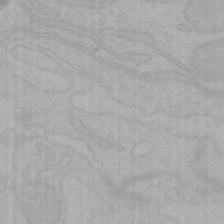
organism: Mouse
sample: Choroid plexus